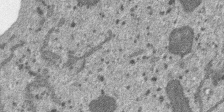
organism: Human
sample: Lung epithelial cells infected with SARS-CoV-2